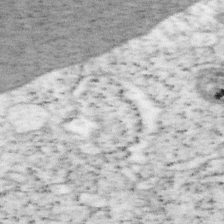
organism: Mouse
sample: OT-I killer T cells with ID8 ovarian cancer cells